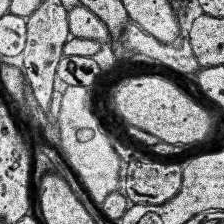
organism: Human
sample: Temporal Lobe